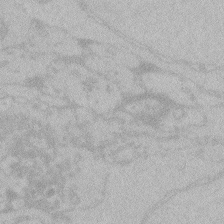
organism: Zebrafish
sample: Macrophage infected with Toxoplasma gondii